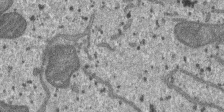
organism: Human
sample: Lung epithelial cells infected with SARS-CoV-2